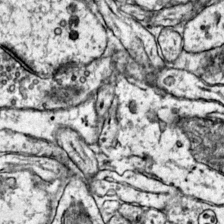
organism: Mouse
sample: Primary visual cortex